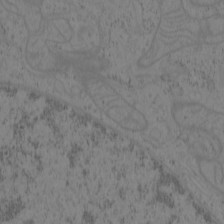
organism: Human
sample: HeLa cells